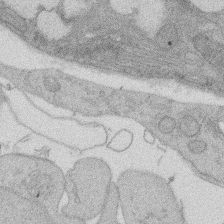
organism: Rat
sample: Salivary granule